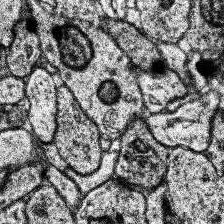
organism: Human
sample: Temporal Lobe